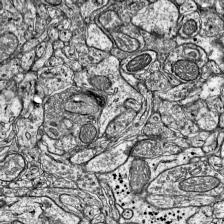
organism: Mouse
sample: Visual Cortex